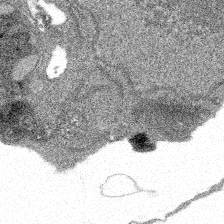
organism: Spongilla lacustris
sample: Multiple